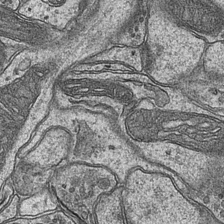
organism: Mouse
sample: CA1 Hippocampus